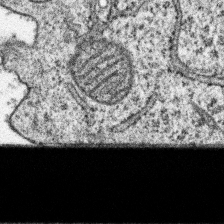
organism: Human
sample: HeLa cells